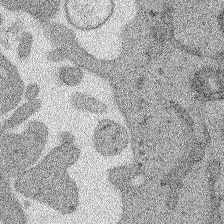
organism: Human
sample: HeLa cells